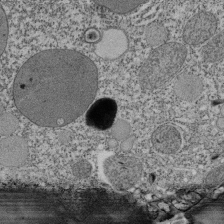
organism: Tetrahymena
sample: Cilia in tetrahymena